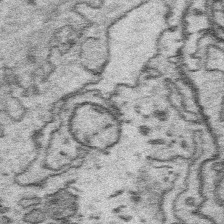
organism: Platynereis dumerilii